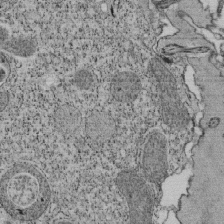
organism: Tetrahymena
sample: Cilia in tetrahymena